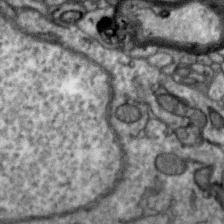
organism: Zebra finch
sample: Brain